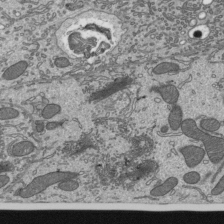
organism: Mouse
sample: Mouse epididymis efferent ductule cilia